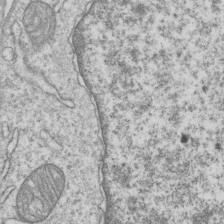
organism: Human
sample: MDA-MB-231 cells